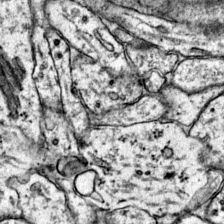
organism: Mouse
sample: Primary visual cortex